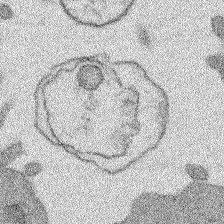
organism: Human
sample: HeLa cells